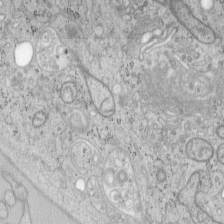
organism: Mouse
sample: OT-I killer T cells with ID8 ovarian cancer cells